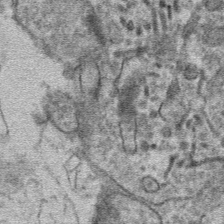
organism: Mouse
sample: Mouse hepatocytes